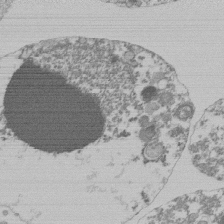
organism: Mouse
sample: Activated Pmel transgenic CD8+ T Cells